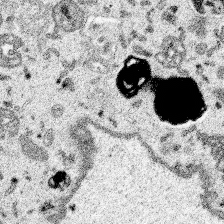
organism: Spongilla lacustris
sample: Multiple